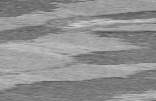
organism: C57BL Mouse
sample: Heart